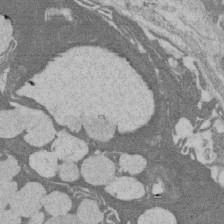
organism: Rat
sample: Salivary granule